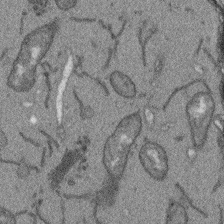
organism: Arabidopsis thaliana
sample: Root tip